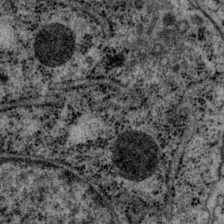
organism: P. pacificus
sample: Pharynx